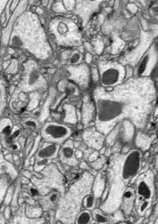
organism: Drosophila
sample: Optic lobe